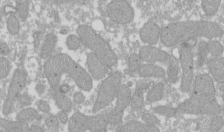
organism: Xenopus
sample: Cilia; centrioles in frog embryo cells